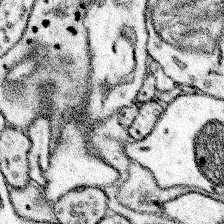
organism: Mouse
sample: Somatosensory cortex neuropil